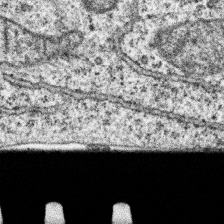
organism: Human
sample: HeLa cells